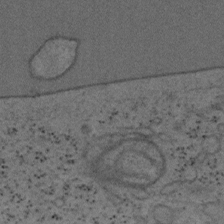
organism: Human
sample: HeLa cells